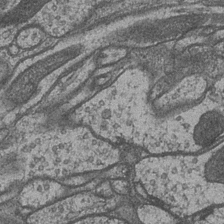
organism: Drosophila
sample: Optic medulla